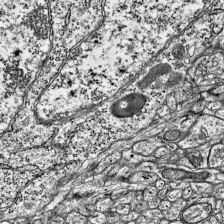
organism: Mouse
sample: Visual Cortex